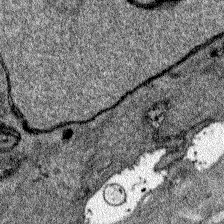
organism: Zebrafish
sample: Larval olfactory bulb